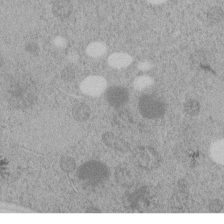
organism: C. elegans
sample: C. elegans embryo early stage